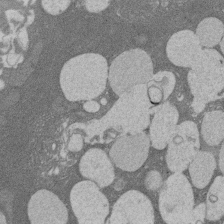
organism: Rat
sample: Salivary granule